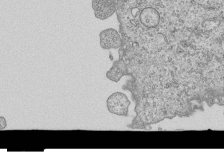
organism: Human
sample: MDA-MB-231 cells